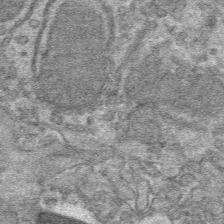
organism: Mouse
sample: Mouse hepatocytes